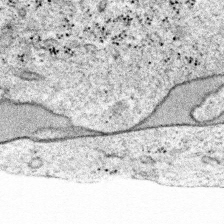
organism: Human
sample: HeLa cells